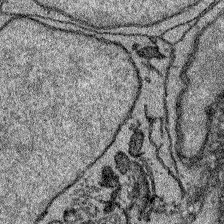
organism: Zebrafish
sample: Larval olfactory bulb